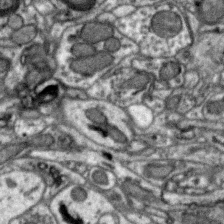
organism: Zebra finch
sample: Brain